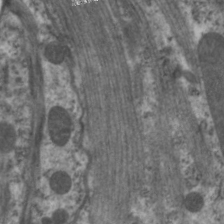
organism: C. elegans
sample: Pharynx